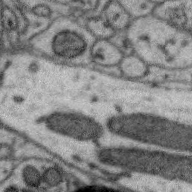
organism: Zebra finch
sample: Brain